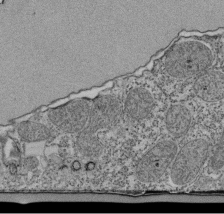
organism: Tetrahymena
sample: Cilia in tetrahymena